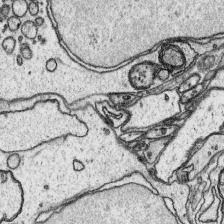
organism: Platynereis dumerilii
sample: Parapodia